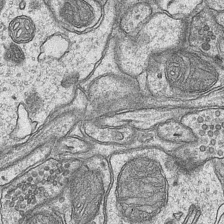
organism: Mouse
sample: CA1 Hippocampus